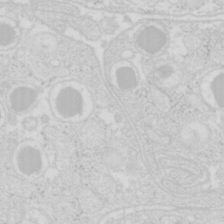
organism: Mouse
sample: Pancreas